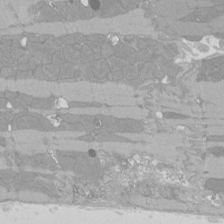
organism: Rat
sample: Left ventricle